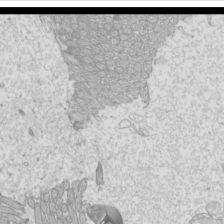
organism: Mouse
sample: Cilia; mouse epididymis